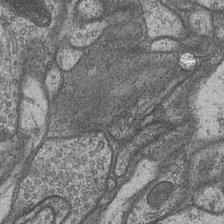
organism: Drosophila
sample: Optic medulla